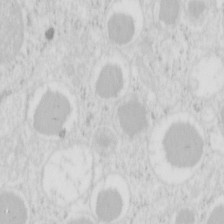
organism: Mouse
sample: Pancreas